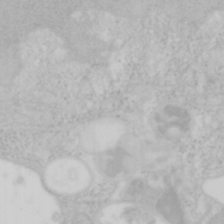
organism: Mouse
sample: OT-I killer T cells with ID8 ovarian cancer cells